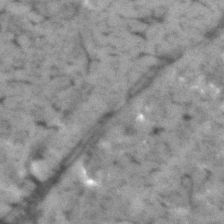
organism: Human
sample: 1205lu cells